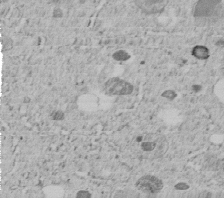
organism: C. elegans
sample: C. elegans embryo early stage